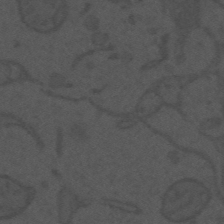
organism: Mouse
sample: Suprachiasmatic nucleus